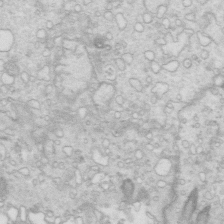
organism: Mouse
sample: Multiciliated cells